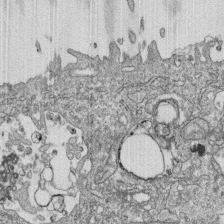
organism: Human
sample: HeLa cell HIV synapse